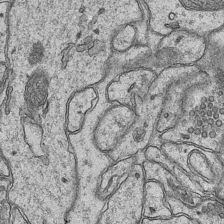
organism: Mouse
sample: CA1 Hippocampus